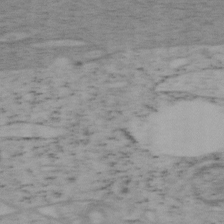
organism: Mouse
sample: OT-I killer T cells with ID8 ovarian cancer cells